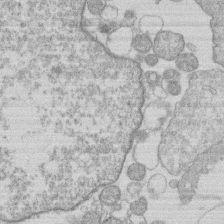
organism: Human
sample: Macrophage cells